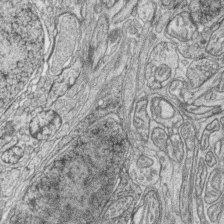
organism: Zebrafish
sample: synaptic ribbons in rod cells and cone cells